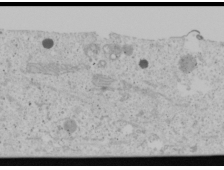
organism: Human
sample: Mitochondria in U2OS cells